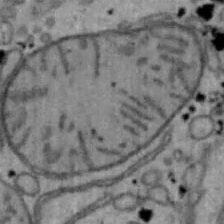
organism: Mouse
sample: Liver